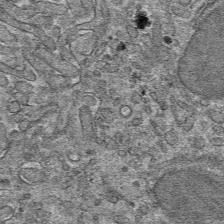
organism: Mouse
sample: Mouse hepatocytes